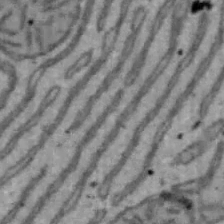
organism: Mouse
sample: Liver